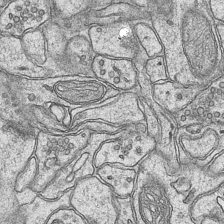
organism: Mouse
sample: CA1 Hippocampus